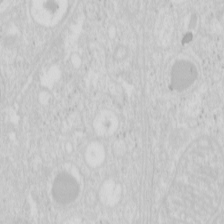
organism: Mouse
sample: Pancreas